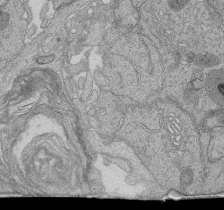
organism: Human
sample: Retinal organoid Rod and Cone cells